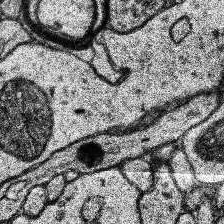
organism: Human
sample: Temporal Lobe